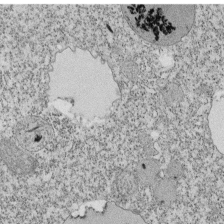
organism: Tetrahymena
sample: Cilia in tetrahymena